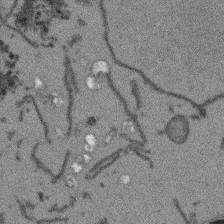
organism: Arabidopsis thaliana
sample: Root tip